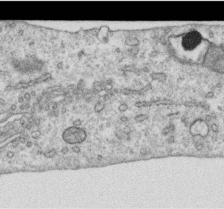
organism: Human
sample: Centriole in RPE cells